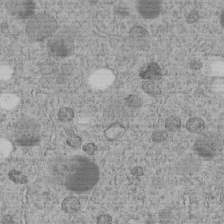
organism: C. elegans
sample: C. elegans embryo early stage